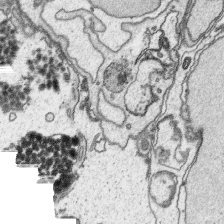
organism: Platynereis dumerilii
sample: Parapodia